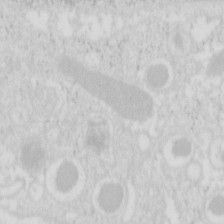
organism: Mouse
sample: Pancreas